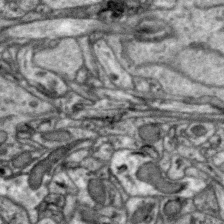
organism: Zebra finch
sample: Brain